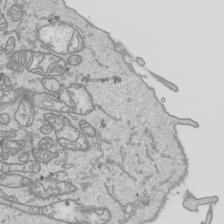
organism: Human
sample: Mitochondria in HCT116 cells